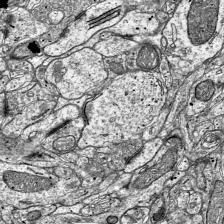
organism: Mouse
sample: Visual Cortex